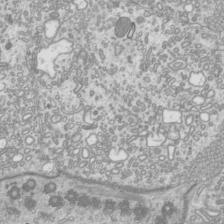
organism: Mouse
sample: Cilia; mouse epididymis